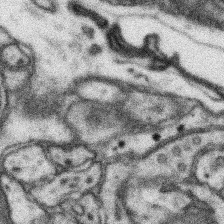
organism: Mouse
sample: Somatosensory cortex neuropil